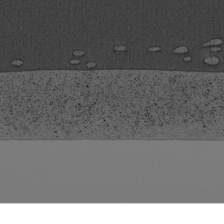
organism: African green monkey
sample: COS-7 cells